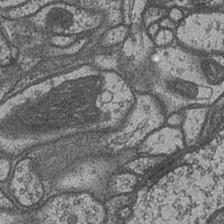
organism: Drosophila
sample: Optic medulla